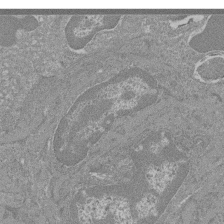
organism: Mouse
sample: Glomerulus